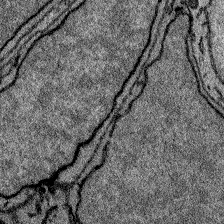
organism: Zebrafish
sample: Larval olfactory bulb